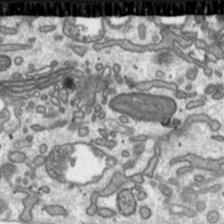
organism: Toxoplasma gondii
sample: Parasites in a vacuole inside a host cell